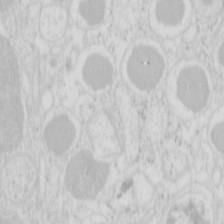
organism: Mouse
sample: Pancreas